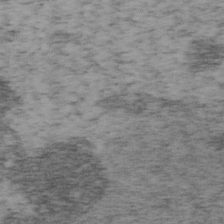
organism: Mouse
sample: OT-I killer T cells with ID8 ovarian cancer cells